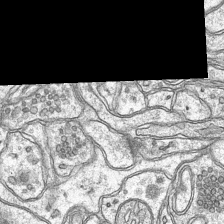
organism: Mouse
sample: CA1 Hippocampus